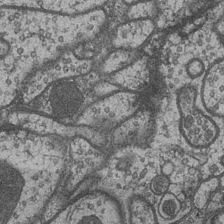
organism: Drosophila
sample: Optic medulla